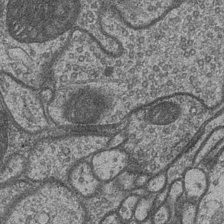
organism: Drosophila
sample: Optic medulla